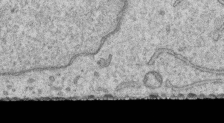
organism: Human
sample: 1205lu cells